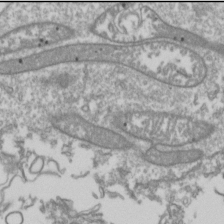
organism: Drosophila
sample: Cell division; meiosis; drosophila spermatocytes